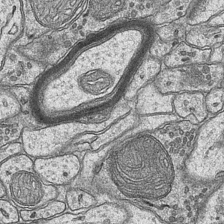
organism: Mouse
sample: CA1 Hippocampus